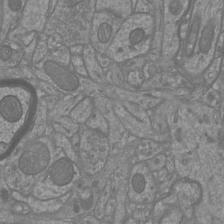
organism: Mouse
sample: Cortical neurons